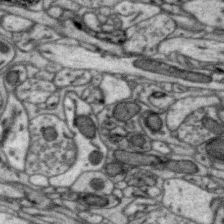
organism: Zebra finch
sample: Brain